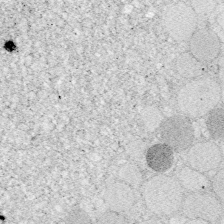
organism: Zebrafish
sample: Whole-Brain